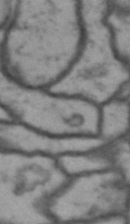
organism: Drosophila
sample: Brain